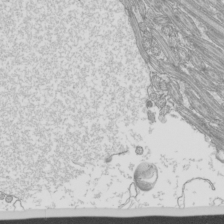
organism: Mouse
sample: Cilia; mouse epididymis